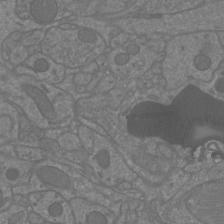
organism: Mouse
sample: Cortical neurons